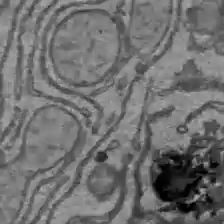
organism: C57BL Mouse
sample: Liver